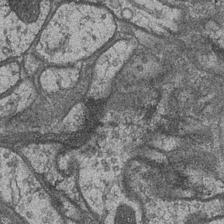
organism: Drosophila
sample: Optic medulla